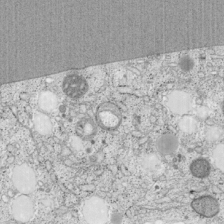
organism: African green monkey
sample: COS-7 cells